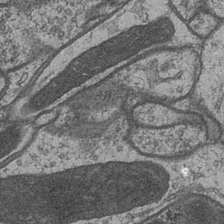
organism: Drosophila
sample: Optic medulla